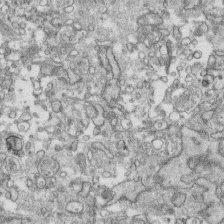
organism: Human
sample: CRL-1474